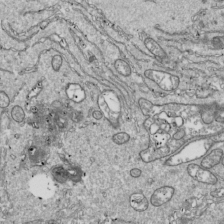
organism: Drosophila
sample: Cell division; meiosis; drosophila spermatocytes